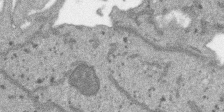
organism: Human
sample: Lung epithelial cells infected with SARS-CoV-2